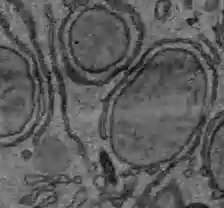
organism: C57BL Mouse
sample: Liver